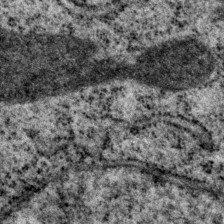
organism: P. pacificus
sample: Pharynx